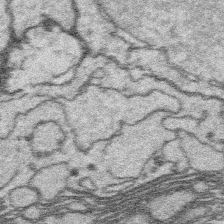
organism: Platynereis dumerilii